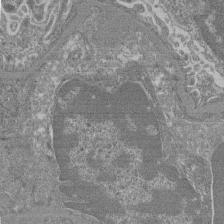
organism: Mouse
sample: Glomerulus